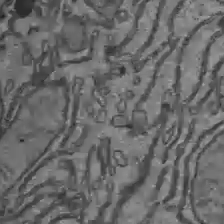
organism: C57BL Mouse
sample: Liver